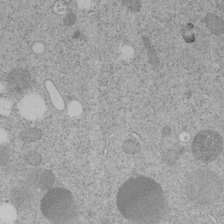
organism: C. elegans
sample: C. elegans embryo early stage